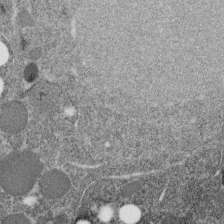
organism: C. elegans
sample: C. elegans embryo early stage